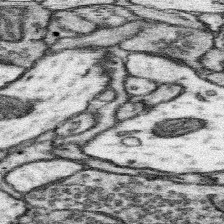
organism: Mouse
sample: Somatosensory cortex neuropil